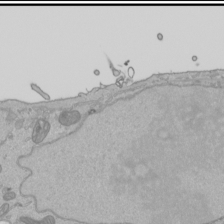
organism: Human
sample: Mitochondria in HCT116 cells